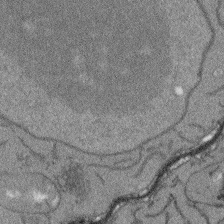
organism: Arabidopsis thaliana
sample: Root tip